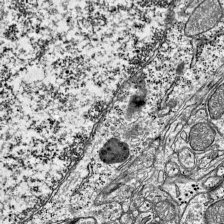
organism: Mouse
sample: Visual Cortex